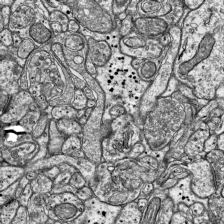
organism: Mouse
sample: Visual Cortex